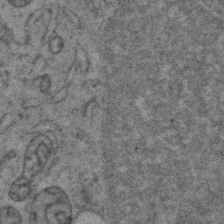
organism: Zebrafish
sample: Zebrafish embryo